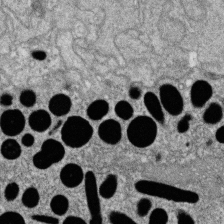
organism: Zebrafish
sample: Cilia; retinal pigment epithelium